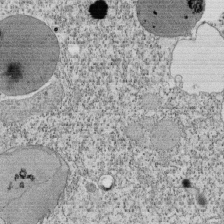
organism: Tetrahymena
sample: Cilia in tetrahymena